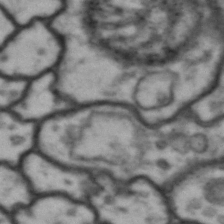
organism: Drosophila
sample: Brain